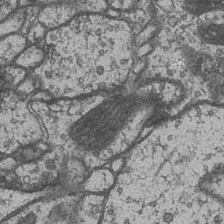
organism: Drosophila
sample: Optic medulla